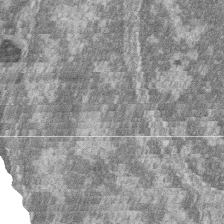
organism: Zebrafish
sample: Cilia; retinal pigment epithelium